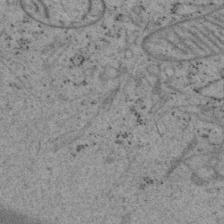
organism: Human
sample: HeLa cells